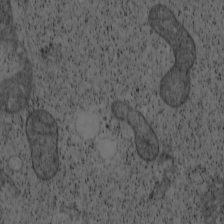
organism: African green monkey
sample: COS-7 cells